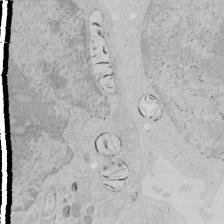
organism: Human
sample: Mitochondria in HCT116 cells